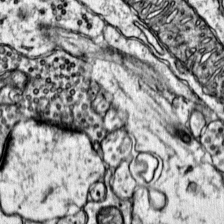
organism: Mouse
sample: Primary visual cortex